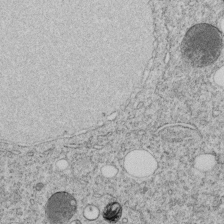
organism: C. elegans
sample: C. elegans embryo early stage